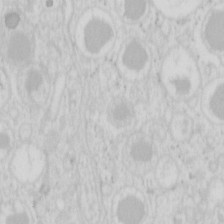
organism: Mouse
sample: Pancreas